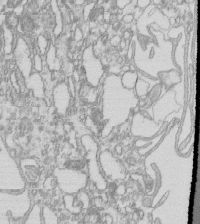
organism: Mouse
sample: Macrophages